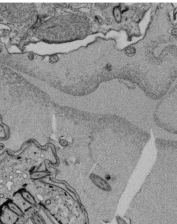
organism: Tetrahymena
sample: Cilia in tetrahymena